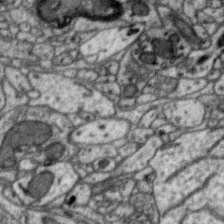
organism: Zebra finch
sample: Brain